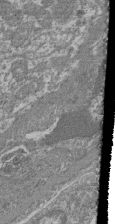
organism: Mouse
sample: Glomerulus